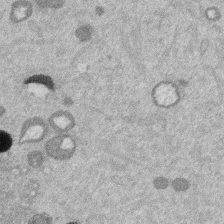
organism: Mouse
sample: Dividing mouse embryo 1 cell stage